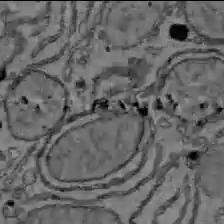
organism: C57BL Mouse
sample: Liver